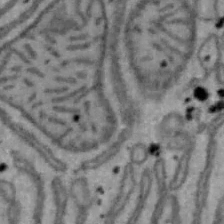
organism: Mouse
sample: Liver